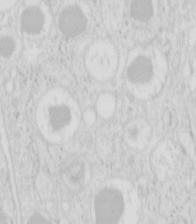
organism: Mouse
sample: Pancreas